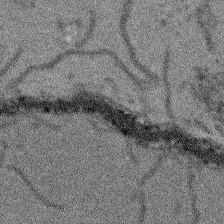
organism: Arabidopsis thaliana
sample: Root tip